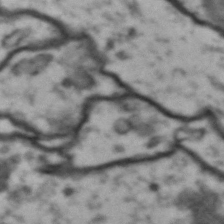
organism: Drosophila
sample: Brain